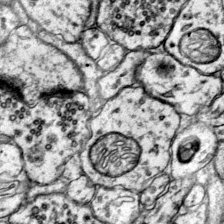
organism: Mouse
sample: Primary visual cortex